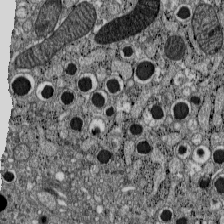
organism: C57BL Mouse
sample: Pancreatic islet